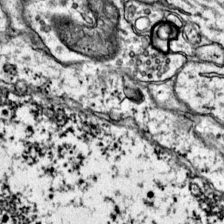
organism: Mouse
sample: Primary visual cortex